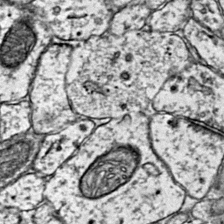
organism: Mouse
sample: Primary visual cortex